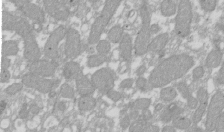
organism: Xenopus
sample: Cilia; centrioles in frog embryo cells